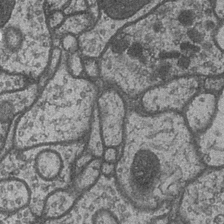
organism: Drosophila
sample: Optic medulla